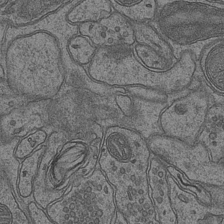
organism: Mouse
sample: CA1 Hippocampus